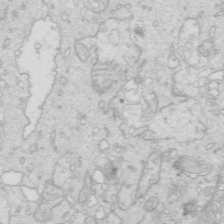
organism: Mouse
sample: Multiciliated cells